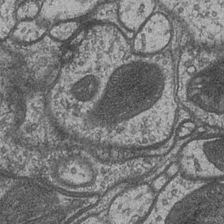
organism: Drosophila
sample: Optic medulla